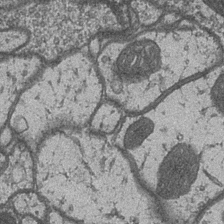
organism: Drosophila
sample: Optic medulla